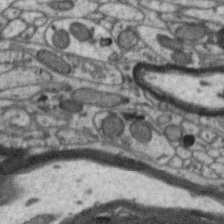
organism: Zebra finch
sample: Brain